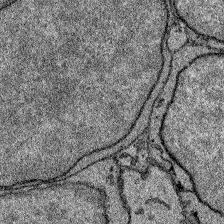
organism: Zebrafish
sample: Larval olfactory bulb